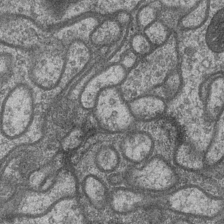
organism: Drosophila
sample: Optic medulla